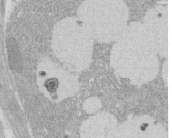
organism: Rat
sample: Salivary granule